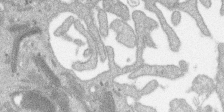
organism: Human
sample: Lung epithelial cells infected with SARS-CoV-2